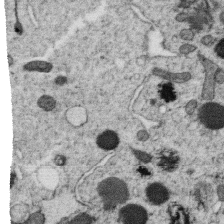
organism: C. elegans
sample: C. elegans oocyte; sperm cells